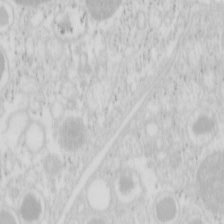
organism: Mouse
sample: Pancreas